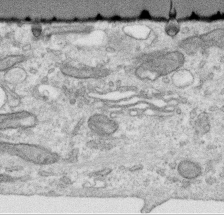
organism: Human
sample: Centriole in RPE cells